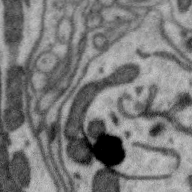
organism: Zebra finch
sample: Brain